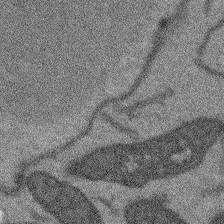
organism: Arabidopsis thaliana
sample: Root tip